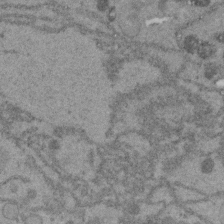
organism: C. elegans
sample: C. elegans embryo early stage